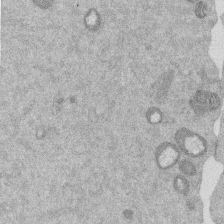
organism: Mouse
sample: Dividing mouse embryo 1 cell stage